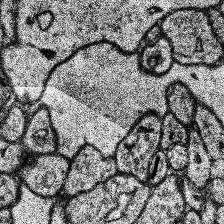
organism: Human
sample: Temporal Lobe